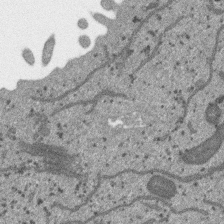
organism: Human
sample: Lung epithelial cells infected with SARS-CoV-2